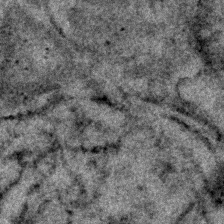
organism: Human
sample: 1205lu cells